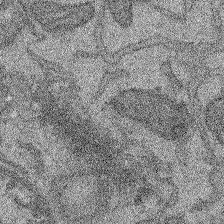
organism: Human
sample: HeLa cells